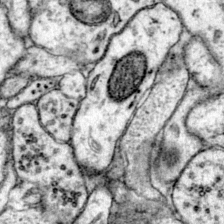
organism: Mouse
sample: Primary visual cortex